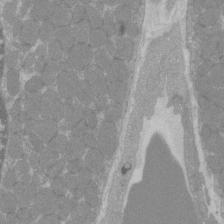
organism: C57BL Mouse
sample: Tibialis anterior muscle cell